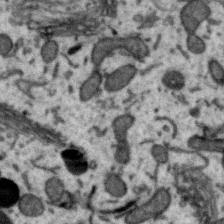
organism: Zebra finch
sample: Brain